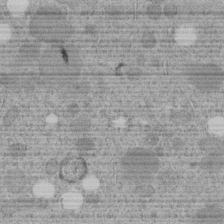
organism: C. elegans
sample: C. elegans embryo early stage